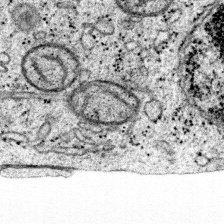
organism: Human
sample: HeLa cells